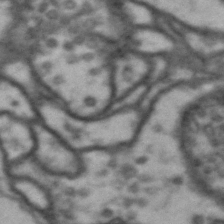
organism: Drosophila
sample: Brain